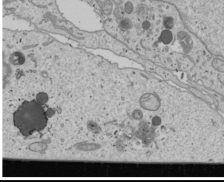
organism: Human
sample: Mitochondria in U2OS cells